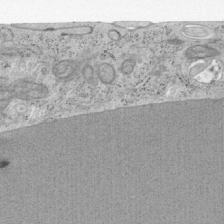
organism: Human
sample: HeLa cells